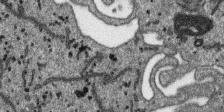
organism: Human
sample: Lung epithelial cells infected with SARS-CoV-2